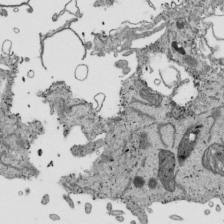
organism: Human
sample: Mitochondria in HCT116 cells